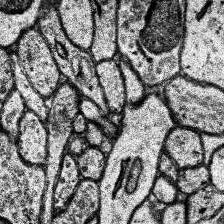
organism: Human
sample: Temporal Lobe